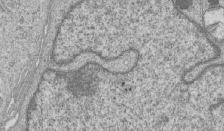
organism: Human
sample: MDA-MB-231 cells